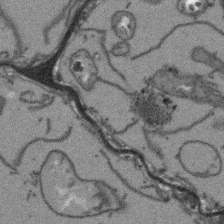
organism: Arabidopsis thaliana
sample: Root tip